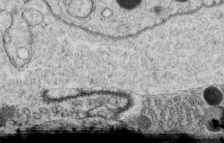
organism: C. elegans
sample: C. elegans oocyte; sperm cells